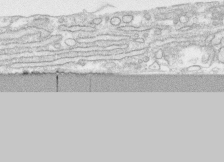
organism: Human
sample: CRL-1474